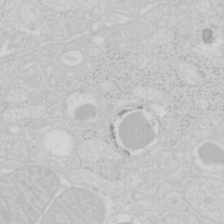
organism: Mouse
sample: Pancreas